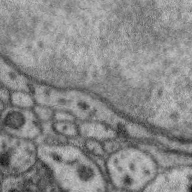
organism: Zebra finch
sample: Brain